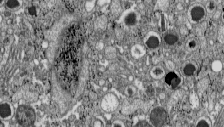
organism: C57BL Mouse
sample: Pancreatic islet